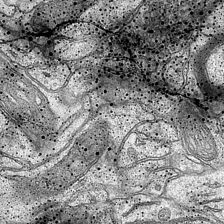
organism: Mouse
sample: CA1 Hippocampus